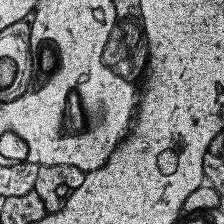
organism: Human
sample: Temporal Lobe